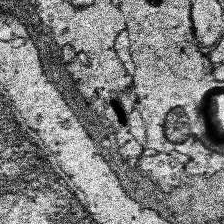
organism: Human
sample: Temporal Lobe